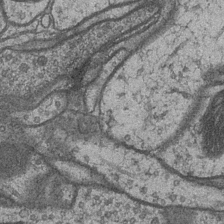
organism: Drosophila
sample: Optic medulla